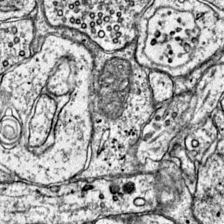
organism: Mouse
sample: Primary visual cortex